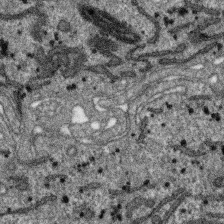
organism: Human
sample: Lung epithelial cells infected with SARS-CoV-2